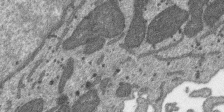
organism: Human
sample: Lung epithelial cells infected with SARS-CoV-2